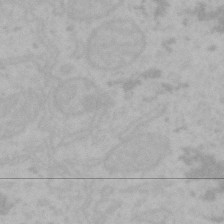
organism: Mouse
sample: Choroid plexus